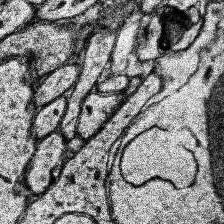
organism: Human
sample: Temporal Lobe